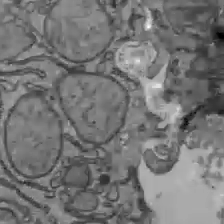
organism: C57BL Mouse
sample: Liver